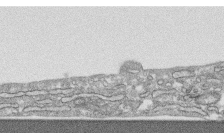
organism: Human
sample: CRL-1474